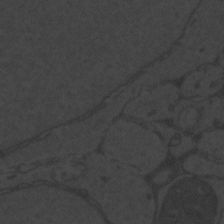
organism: Zebrafish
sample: Macrophage infected with Toxoplasma gondii